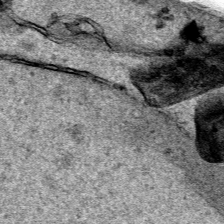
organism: Human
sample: Mitochondria in HCT116 cells